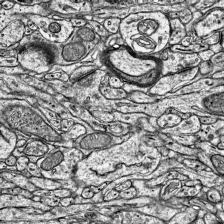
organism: Mouse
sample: Visual Cortex